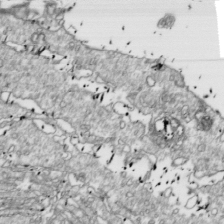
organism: Drosophila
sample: Cell division; meiosis; drosophila spermatocytes